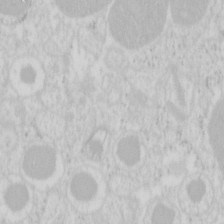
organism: Mouse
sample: Pancreas